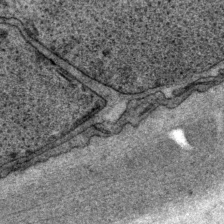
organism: P. pacificus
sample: Pharynx